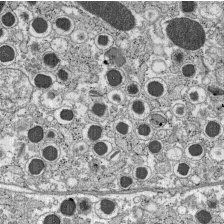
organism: C57BL Mouse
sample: Pancreatic islet